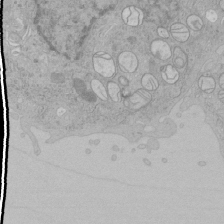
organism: Human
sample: Mitochondria in HCT116 cells